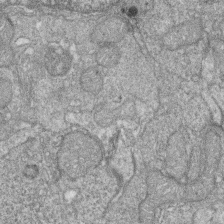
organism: Zebrafish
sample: Cilia; retinal pigment epithelium